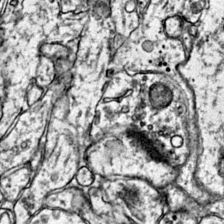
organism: Mouse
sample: Primary visual cortex